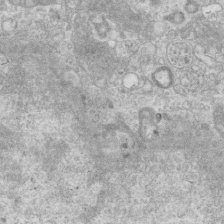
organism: Mouse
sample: Centriole in ependymal cells